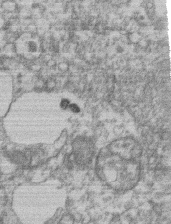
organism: Mouse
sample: T cell stromal cell synapse